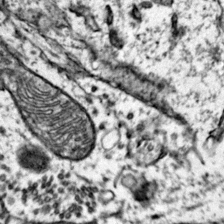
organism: Mouse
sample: Primary visual cortex